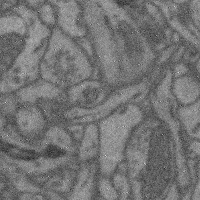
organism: Mouse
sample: Cerebral cortex